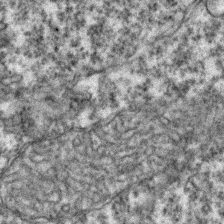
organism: Zebrafish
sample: Zebrafish embryo